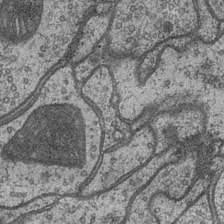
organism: Drosophila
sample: Optic medulla